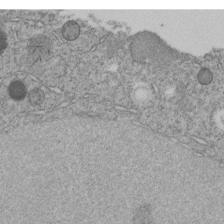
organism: C. elegans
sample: C. elegans embryo early stage